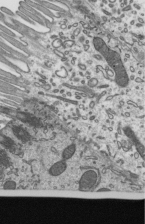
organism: Mouse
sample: Mouse epididymis efferent ductule cilia